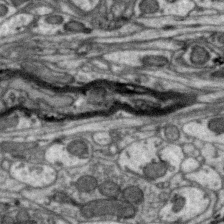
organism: Zebra finch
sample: Brain